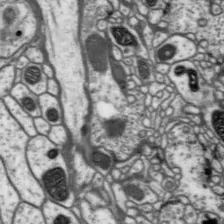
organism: Drosophila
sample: Protocerebral bridge